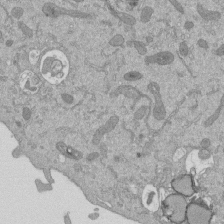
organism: Mouse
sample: ED-1 cell nuclei; centrioles